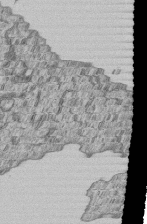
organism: Human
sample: MDA-MB-231 cells